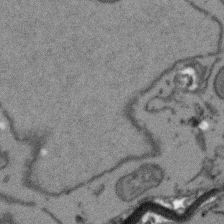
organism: Arabidopsis thaliana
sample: Root tip